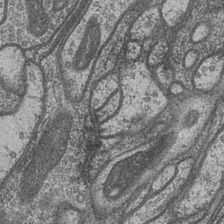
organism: Drosophila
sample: Optic medulla